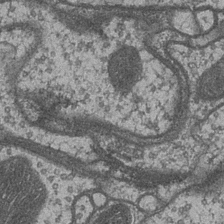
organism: Drosophila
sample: Optic medulla